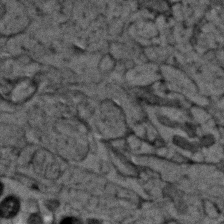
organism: Zebrafish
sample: Zebrafish embryo